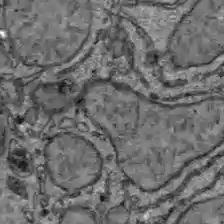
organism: C57BL Mouse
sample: Liver